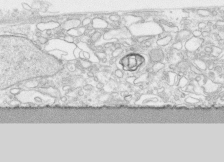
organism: Human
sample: CRL-1474